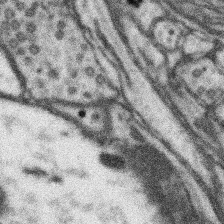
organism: Mouse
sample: Somatosensory cortex neuropil